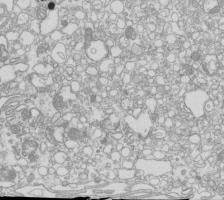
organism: Mouse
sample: Macrophages